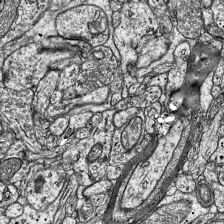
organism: Mouse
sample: Visual Cortex